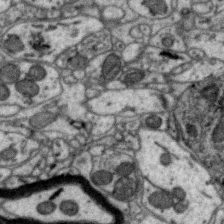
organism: Zebra finch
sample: Brain